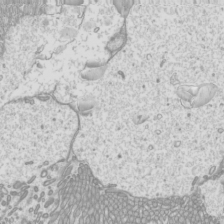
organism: Mouse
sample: Cilia; mouse epididymis